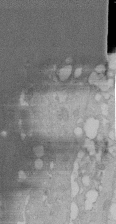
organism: Human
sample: Melanocyte Keratinocyte synapse skin construct